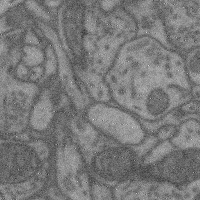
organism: Mouse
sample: Cerebral cortex